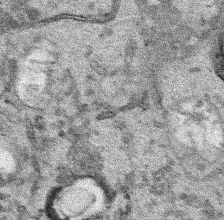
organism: Human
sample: Mitochondria in HCT116 cells